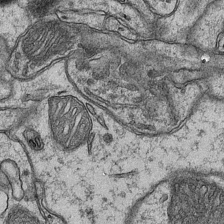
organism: Mouse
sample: CA1 Hippocampus